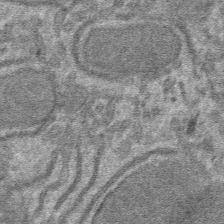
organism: Mouse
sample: Mouse hepatocytes